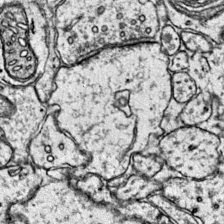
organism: Mouse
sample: Primary visual cortex